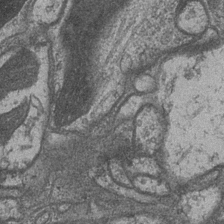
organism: Drosophila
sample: Optic medulla